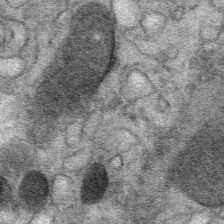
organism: Mouse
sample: Mouse Salivary gland